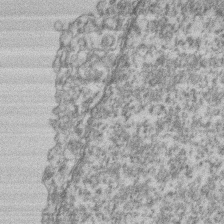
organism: Mouse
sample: T cell stromal cell synapse